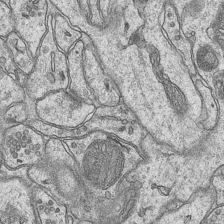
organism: Mouse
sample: CA1 Hippocampus